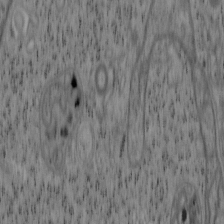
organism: Human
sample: HeLa cells